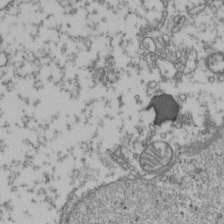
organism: Human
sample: Activated Jurkat CD4+ T cells